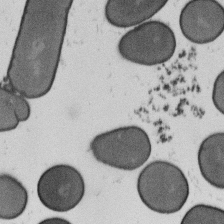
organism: B. subtilis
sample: Bacterial spore